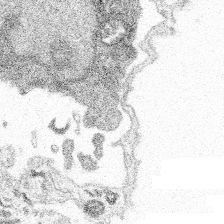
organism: Spongilla lacustris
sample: Multiple